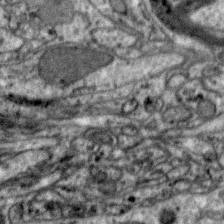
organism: Zebra finch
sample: Brain